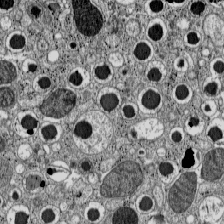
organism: C57BL Mouse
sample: Pancreatic islet